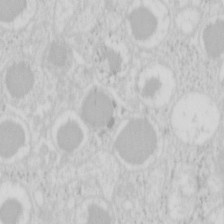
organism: Mouse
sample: Pancreas